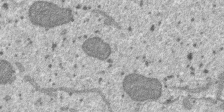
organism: Human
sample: Lung epithelial cells infected with SARS-CoV-2